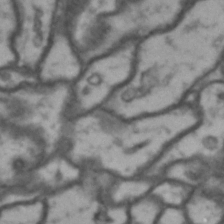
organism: Drosophila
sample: Brain